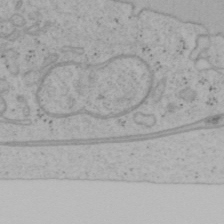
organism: Human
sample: HeLa cells